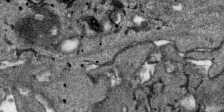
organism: Human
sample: Lung epithelial cells, uninfected (mock) control